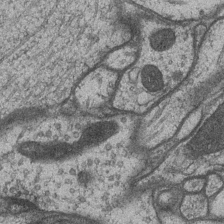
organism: Drosophila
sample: Optic medulla